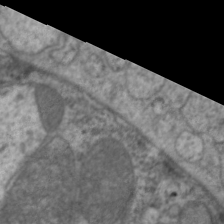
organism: C. elegans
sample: Pharynx